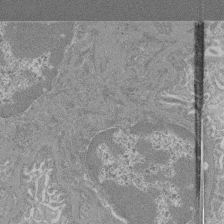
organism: Mouse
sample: Glomerulus